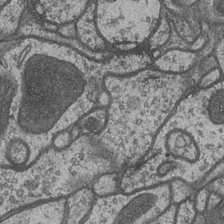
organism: Drosophila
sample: Optic medulla